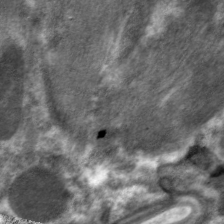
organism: C. elegans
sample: Pharynx